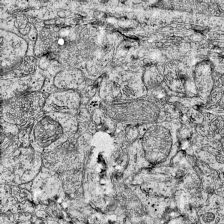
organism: Mouse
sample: Visual Cortex